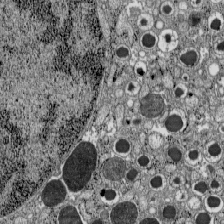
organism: C57BL Mouse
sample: Pancreatic islet